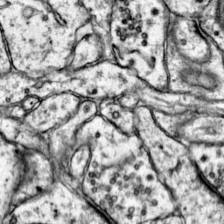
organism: Mouse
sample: Primary visual cortex